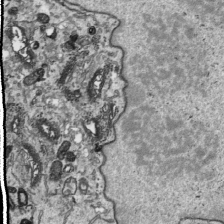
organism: Human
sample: Mitochondria in HCT116 cells